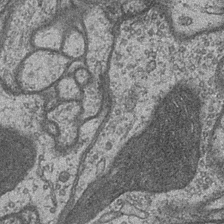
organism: Drosophila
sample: Optic medulla